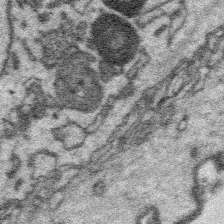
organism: Platynereis dumerilii